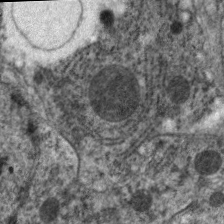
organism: C. elegans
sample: Pharynx